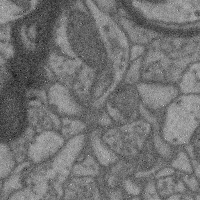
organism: Mouse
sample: Cerebral cortex